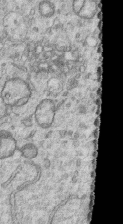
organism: Human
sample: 1205lu cells